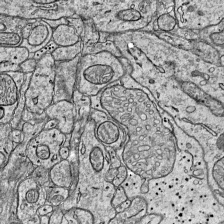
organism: Mouse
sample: Visual Cortex